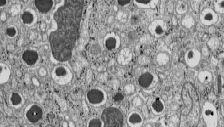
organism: C57BL Mouse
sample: Pancreatic islet